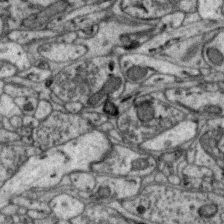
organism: Zebra finch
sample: Brain